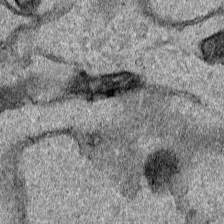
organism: Human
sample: Mitochondria in HCT116 cells